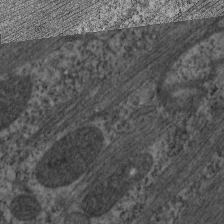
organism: C. elegans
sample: Pharynx